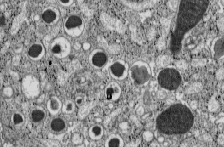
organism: C57BL Mouse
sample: Pancreatic islet